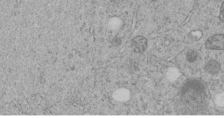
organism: C. elegans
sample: C. elegans embryo early stage